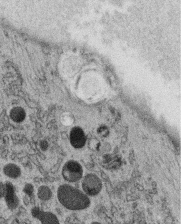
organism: C. elegans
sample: C. elegans oocyte; sperm cells